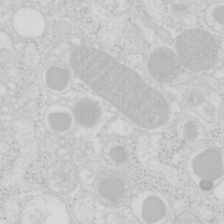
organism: Mouse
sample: Pancreas